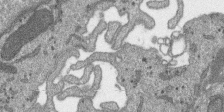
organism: Human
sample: Lung epithelial cells infected with SARS-CoV-2